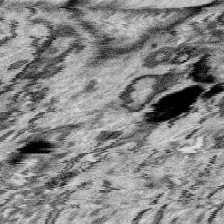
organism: Human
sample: HeLa cells